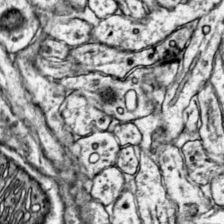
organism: Mouse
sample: Primary visual cortex